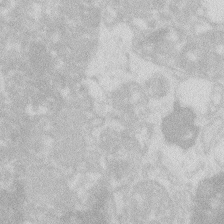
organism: Zebrafish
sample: Macrophage